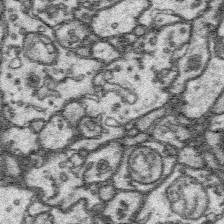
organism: Platynereis dumerilii